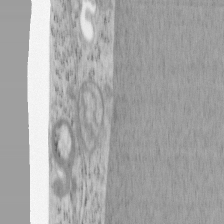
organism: Human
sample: HeLa cells